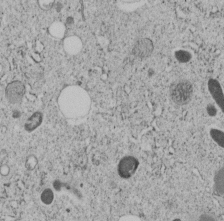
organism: C. elegans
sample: C. elegans embryo early stage